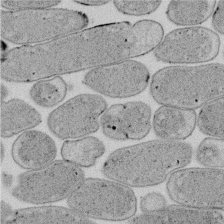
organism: E. coli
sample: Bacterial nucleoid